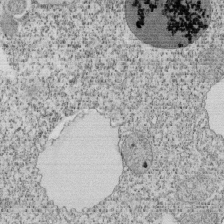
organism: Tetrahymena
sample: Cilia in tetrahymena